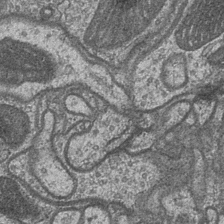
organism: Drosophila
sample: Optic medulla